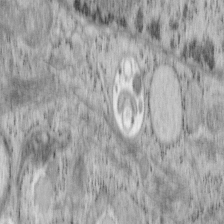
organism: Human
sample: HeLa cells